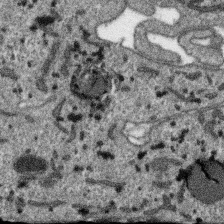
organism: Human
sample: Lung epithelial cells infected with SARS-CoV-2